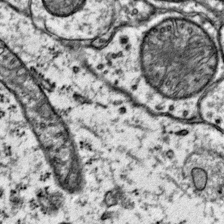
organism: Mouse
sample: Primary visual cortex